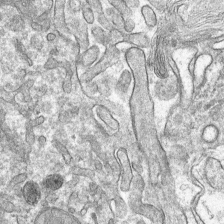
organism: Mouse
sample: Mouse hepatocytes